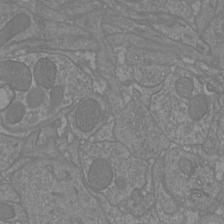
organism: Mouse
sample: Cortical neurons